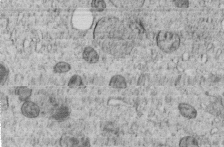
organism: C. elegans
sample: C. elegans embryo early stage